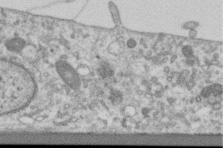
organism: Human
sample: Centriole in RPE cells